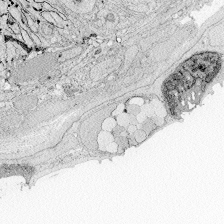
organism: Zebrafish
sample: Whole-Brain